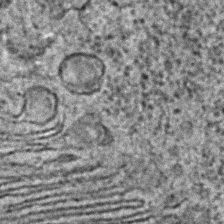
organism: C. elegans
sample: C. elegans embryo